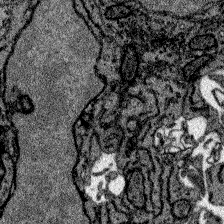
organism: Zebrafish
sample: Larval olfactory bulb